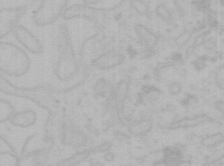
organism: Mouse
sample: Choroid plexus